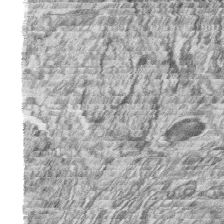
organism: Zebrafish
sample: synaptic ribbons in rod cells and cone cells